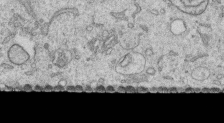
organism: Human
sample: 1205lu cells